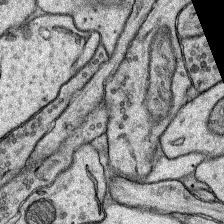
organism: Rat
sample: Hippocampus